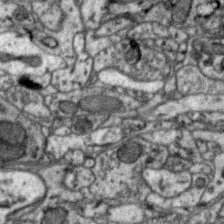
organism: Zebra finch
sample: Brain